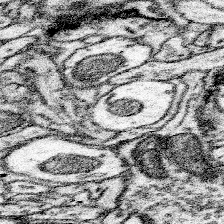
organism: Mouse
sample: Somatosensory cortex neuropil